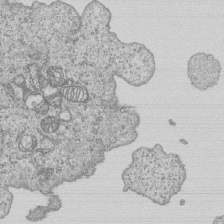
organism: Human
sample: MDA-MB-231 cells